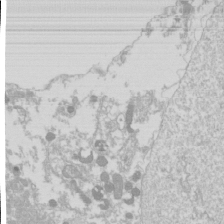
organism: Drosophila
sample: Cell division; meiosis; drosophila spermatocytes